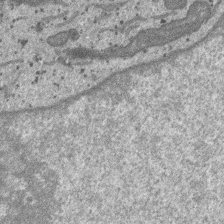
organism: Human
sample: Lung epithelial cells infected with SARS-CoV-2